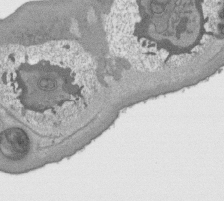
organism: C. elegans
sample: AFD neurons C. elegans